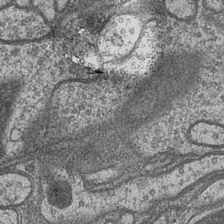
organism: Drosophila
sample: Optic medulla